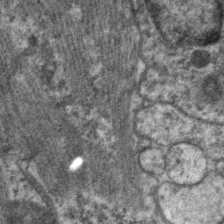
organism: C. elegans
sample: Pharynx